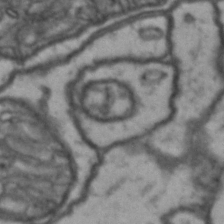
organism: Drosophila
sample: Brain